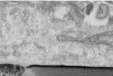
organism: Human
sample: Centriole in RPE cells